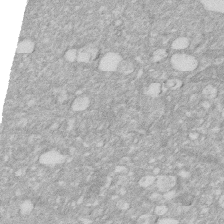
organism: Human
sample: HIV infected U937 cells